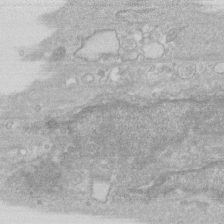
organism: Human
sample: Fibroblast cells